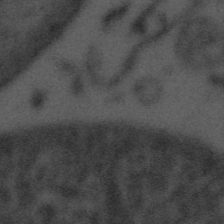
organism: Tuwongella immobilis